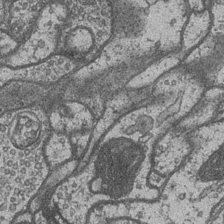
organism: Drosophila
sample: Optic medulla